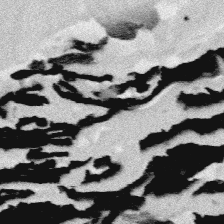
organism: Platynereis dumerilii